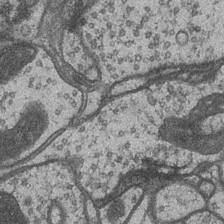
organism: Drosophila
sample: Optic medulla